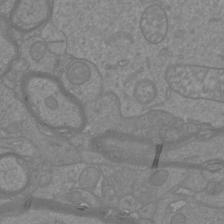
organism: Mouse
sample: Cortical neurons